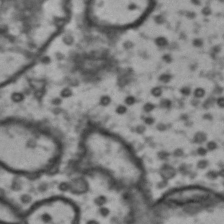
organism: Drosophila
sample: Brain